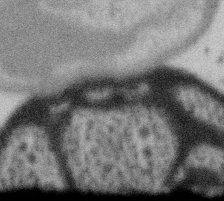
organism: Gemmata obscuriglobus